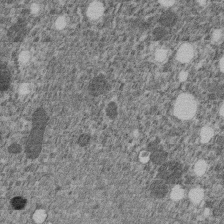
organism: C. elegans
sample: C. elegans embryo early stage